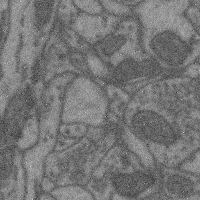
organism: Mouse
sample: Cerebral cortex